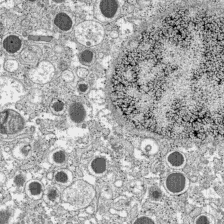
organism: C57BL Mouse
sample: Pancreatic islet